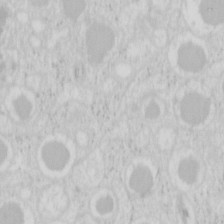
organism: Mouse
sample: Pancreas